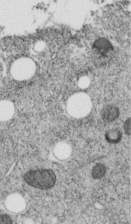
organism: C. elegans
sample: C. elegans embryo early stage